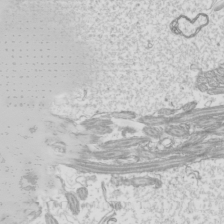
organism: Mouse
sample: Cilia; mouse epididymis